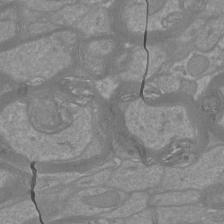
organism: Mouse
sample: Cortical neurons